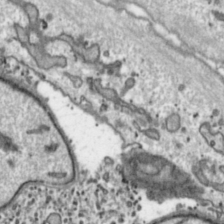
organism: Toxoplasma gondii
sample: Parasites in a vacuole inside a host cell